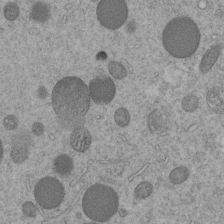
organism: C. elegans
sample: C. elegans embryo early stage